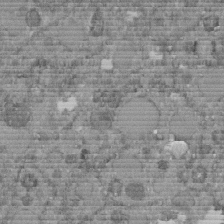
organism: C. elegans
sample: C. elegans embryo early stage